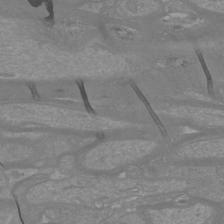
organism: Mouse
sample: Cortical neurons